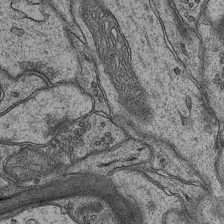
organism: Mouse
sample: CA1 Hippocampus